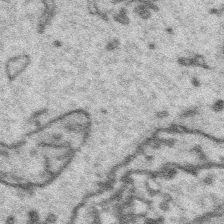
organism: Platynereis dumerilii